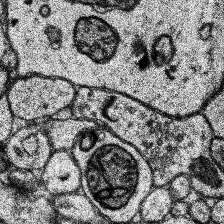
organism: Human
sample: Temporal Lobe